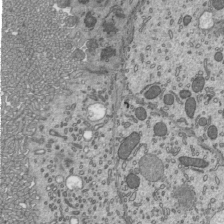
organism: Mouse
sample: Mouse epididymis efferent ductule cilia